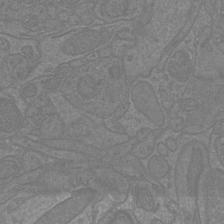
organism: Mouse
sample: Cortical neurons